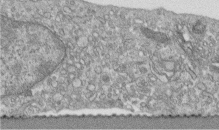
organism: Human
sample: Centriole in fibroblast cells